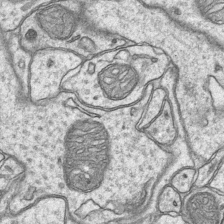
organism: Mouse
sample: CA1 Hippocampus